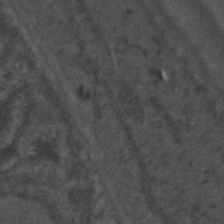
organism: C. elegans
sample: C. elegans embryo